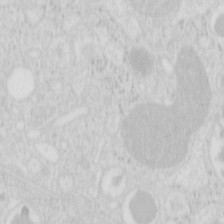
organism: Mouse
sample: Pancreas